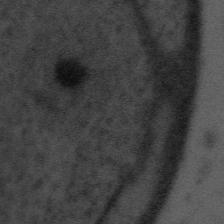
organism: Tuwongella immobilis